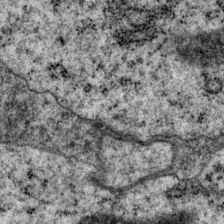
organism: P. pacificus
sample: Pharynx